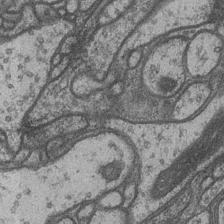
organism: Drosophila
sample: Optic medulla